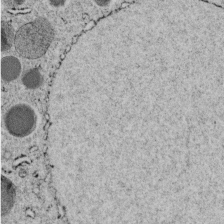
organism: C. elegans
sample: C. elegans embryo early stage